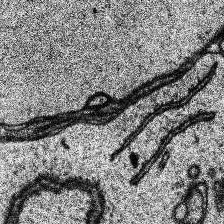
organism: Human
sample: Temporal Lobe